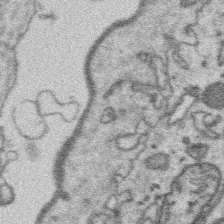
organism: Platynereis dumerilii